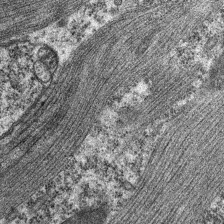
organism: C. elegans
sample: Pharynx